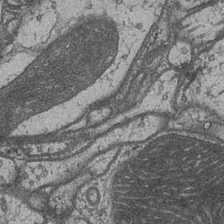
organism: Drosophila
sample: Optic medulla